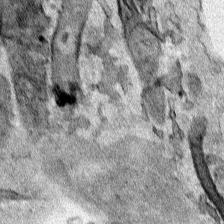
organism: Human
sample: Mitochondria in HCT116 cells